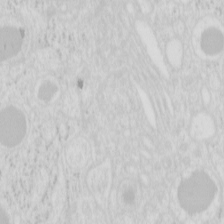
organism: Mouse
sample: Pancreas